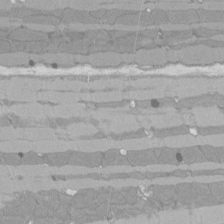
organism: Rat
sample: Left ventricle